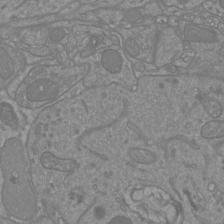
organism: Mouse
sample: Cortical neurons